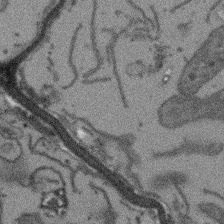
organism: Arabidopsis thaliana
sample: Root tip